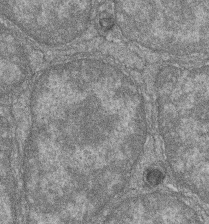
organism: Zebrafish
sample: Cilia; retinal pigment epithelium